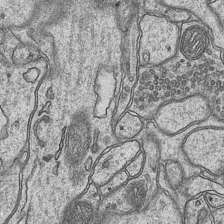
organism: Mouse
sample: CA1 Hippocampus